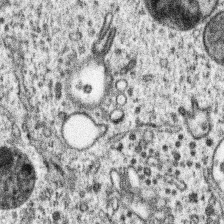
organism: Human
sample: HeLa cells